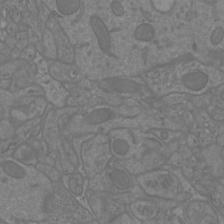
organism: Mouse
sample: Cortical neurons